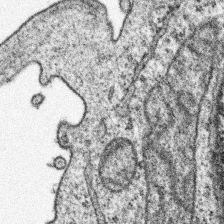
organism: Human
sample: HeLa cells